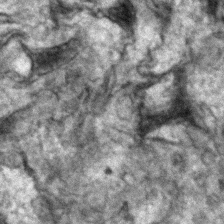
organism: Zebrafish